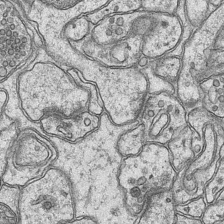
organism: Mouse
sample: CA1 Hippocampus